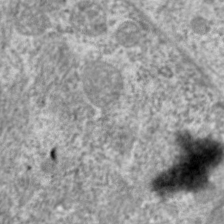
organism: C. elegans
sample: Pharynx